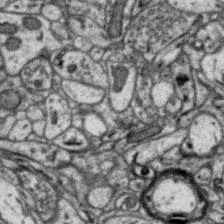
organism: Zebra finch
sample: Brain